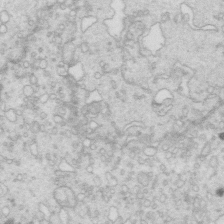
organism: Mouse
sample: Multiciliated cells